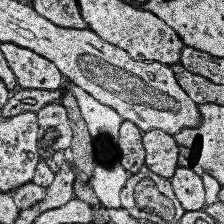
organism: Human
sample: Temporal Lobe